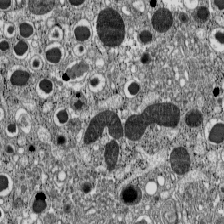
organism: C57BL Mouse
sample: Pancreatic islet